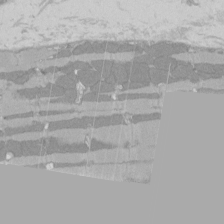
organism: Rat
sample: Left ventricle